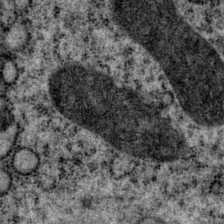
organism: P. pacificus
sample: Pharynx